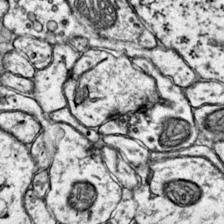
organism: Mouse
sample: Primary visual cortex